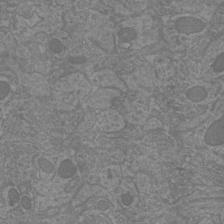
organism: Mouse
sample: Cortical neurons